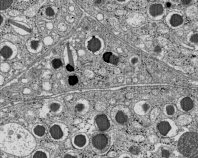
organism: C57BL Mouse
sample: Pancreatic islet